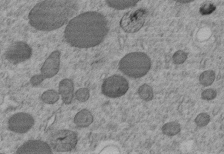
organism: C. elegans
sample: C. elegans embryo early stage